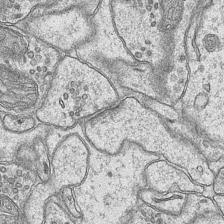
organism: Mouse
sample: CA1 Hippocampus